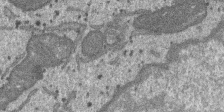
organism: Human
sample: Lung epithelial cells infected with SARS-CoV-2